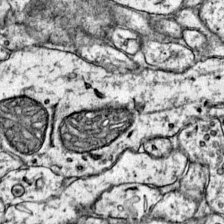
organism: Mouse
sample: Primary visual cortex